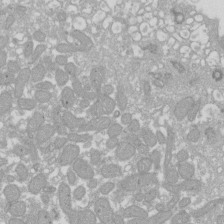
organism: Xenopus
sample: Cilia; centrioles in frog embryo cells